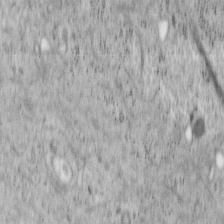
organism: Human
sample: HeLa cells